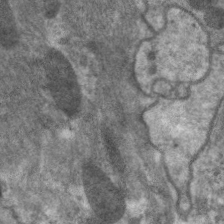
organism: C. elegans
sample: Pharynx